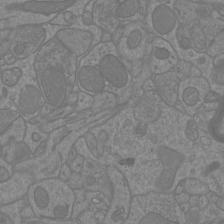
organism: Mouse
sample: Cortical neurons